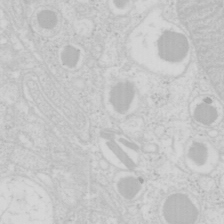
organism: Mouse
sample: Pancreas